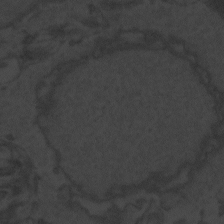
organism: Zebrafish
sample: Macrophage infected with Toxoplasma gondii